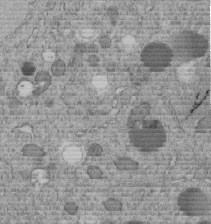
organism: C. elegans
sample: C. elegans embryo early stage